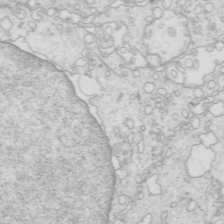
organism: Mouse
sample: Multiciliated cells